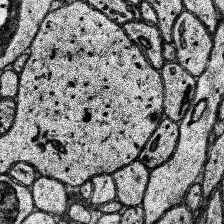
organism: Human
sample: Temporal Lobe